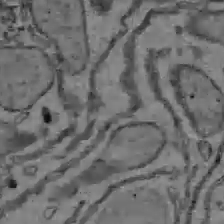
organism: C57BL Mouse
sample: Liver